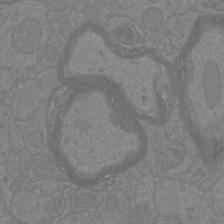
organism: Mouse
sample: Cortical neurons